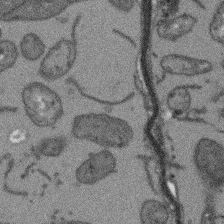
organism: Arabidopsis thaliana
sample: Root tip